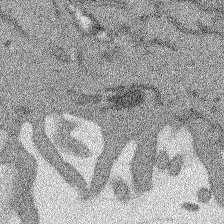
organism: Human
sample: HeLa cells